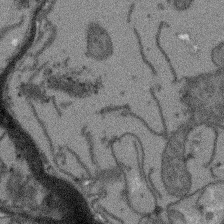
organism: Arabidopsis thaliana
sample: Root tip